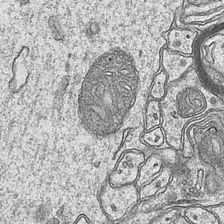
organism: Mouse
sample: CA1 Hippocampus